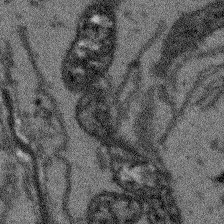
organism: Arabidopsis thaliana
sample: Root tip